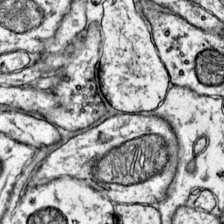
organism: Mouse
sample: Primary visual cortex